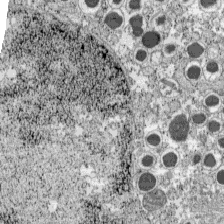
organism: C57BL Mouse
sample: Pancreatic islet